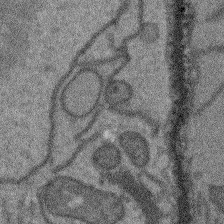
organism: Arabidopsis thaliana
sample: Root tip